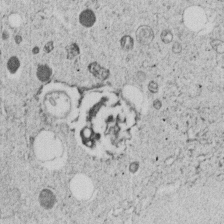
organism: C. elegans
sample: C. elegans embryo early stage